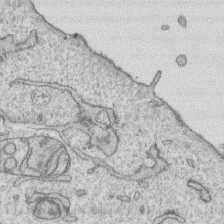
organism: Human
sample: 1205lu cells